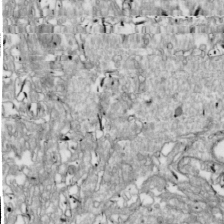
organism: Drosophila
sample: Cell division; meiosis; drosophila spermatocytes